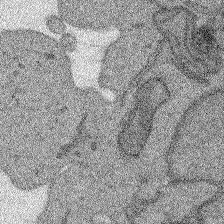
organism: Human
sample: HeLa cells